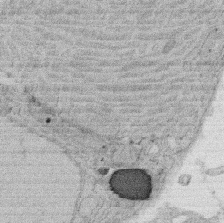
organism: Rat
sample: Salivary granule